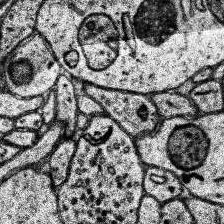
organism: Human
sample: Temporal Lobe